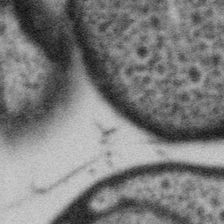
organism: Gemmata obscuriglobus